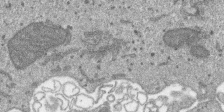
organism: Human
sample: Lung epithelial cells infected with SARS-CoV-2